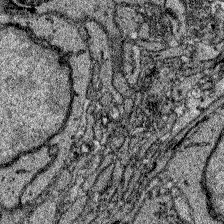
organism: Zebrafish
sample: Larval olfactory bulb